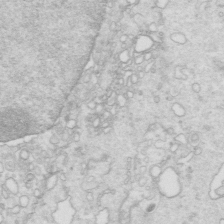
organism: Mouse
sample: Multiciliated cells